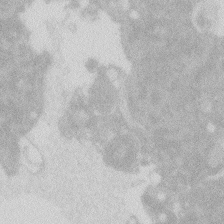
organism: Zebrafish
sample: Macrophage